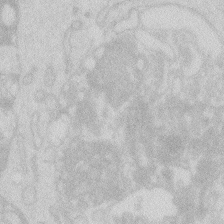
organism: Zebrafish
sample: Macrophage